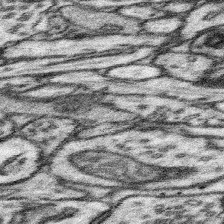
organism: Mouse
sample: Somatosensory cortex neuropil